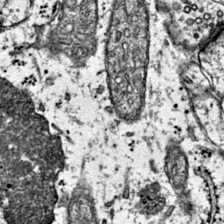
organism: Mouse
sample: Primary visual cortex